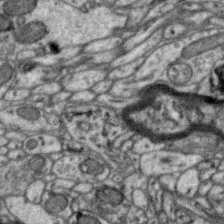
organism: Zebra finch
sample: Brain